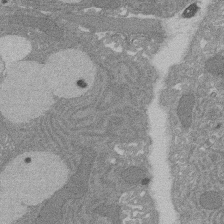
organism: Rat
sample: Salivary granule